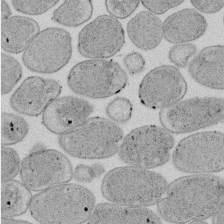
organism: E. coli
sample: Bacterial nucleoid